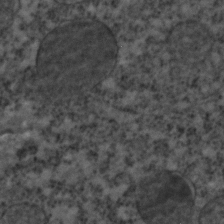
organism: C. elegans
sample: C. elegans embryo